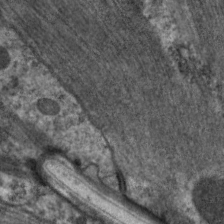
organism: C. elegans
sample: Pharynx